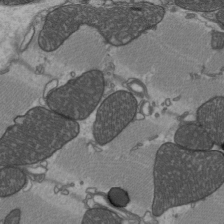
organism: C57BL Mouse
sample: Heart